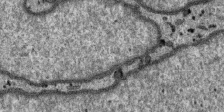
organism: Human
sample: Lung epithelial cells, uninfected (mock) control